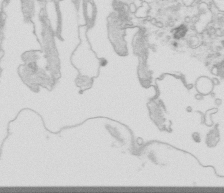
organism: Mouse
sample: Multiciliated cells